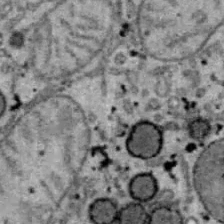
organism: Mouse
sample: Liver from an obese (ob/ob) mouse